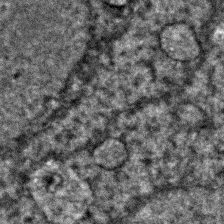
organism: Zebrafish